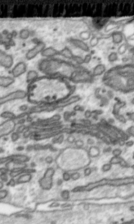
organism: Toxoplasma gondii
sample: Parasites in a vacuole inside a host cell